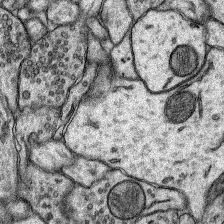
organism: Rat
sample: Hippocampus